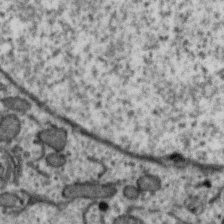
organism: Zebra finch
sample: Brain